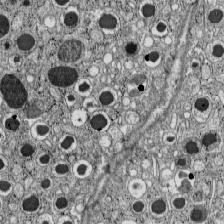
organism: C57BL Mouse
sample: Pancreatic islet